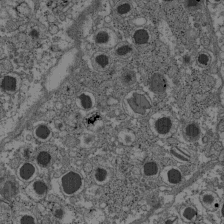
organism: C57BL Mouse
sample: Pancreatic islet